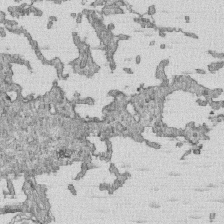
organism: Human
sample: HeLa cell HIV synapse